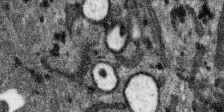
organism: Human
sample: Lung epithelial cells infected with SARS-CoV-2